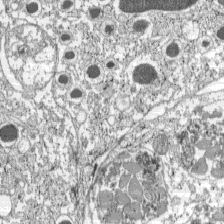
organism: C57BL Mouse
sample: Pancreatic islet